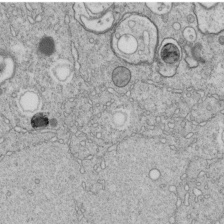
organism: C. elegans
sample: C. elegans embryo early stage